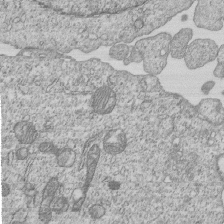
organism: Human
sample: MDA-MB-231 cells